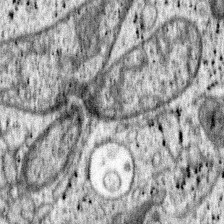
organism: Human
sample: HeLa cells